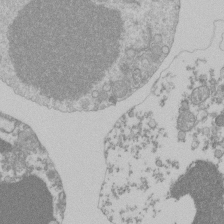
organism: Mouse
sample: Activated Pmel transgenic CD8+ T Cells